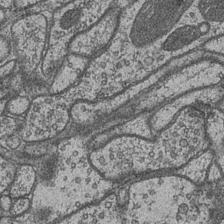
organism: Drosophila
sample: Optic medulla